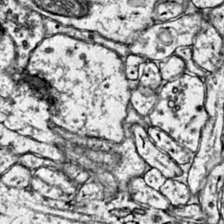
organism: Mouse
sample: Primary visual cortex